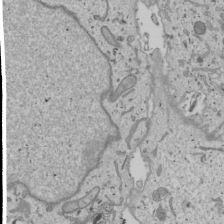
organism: Human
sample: Mitochondria in U2OS cells